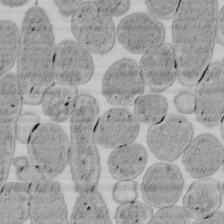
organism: E. coli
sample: Bacterial nucleoid